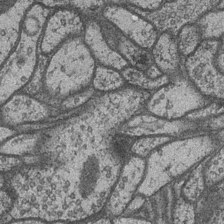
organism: Drosophila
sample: Optic medulla